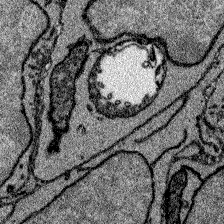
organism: Zebrafish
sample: Larval olfactory bulb